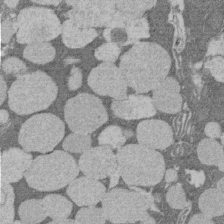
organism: Rat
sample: Salivary granule